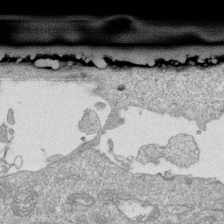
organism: Human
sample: HeLa cell HIV synapse